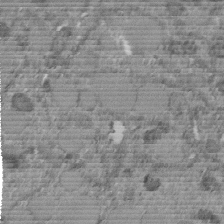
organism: C. elegans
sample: C. elegans embryo early stage